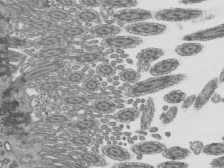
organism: Mouse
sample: Mouse epididymis efferent ductule cilia